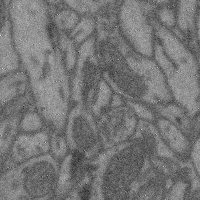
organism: Mouse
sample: Cerebral cortex